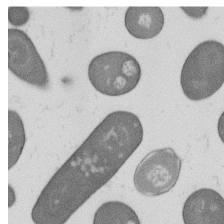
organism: B. subtilis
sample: Bacterial spore